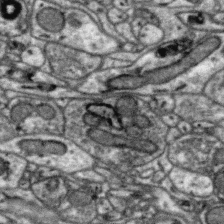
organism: Zebra finch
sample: Brain